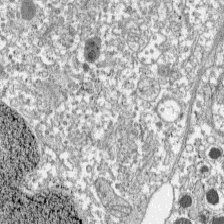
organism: C57BL Mouse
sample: Pancreatic islet